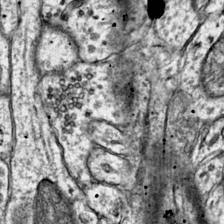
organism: Mouse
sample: Primary visual cortex